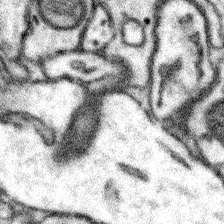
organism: Mouse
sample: Somatosensory cortex neuropil